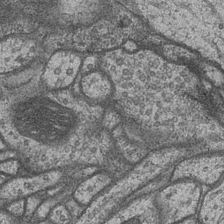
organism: Drosophila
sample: Optic medulla